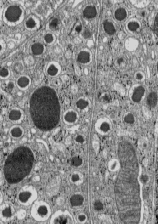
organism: C57BL Mouse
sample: Pancreatic islet